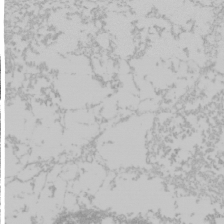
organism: Mouse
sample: Cancer cell death in ED-1 cells